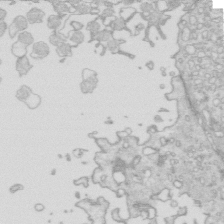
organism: Mouse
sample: Multiciliated cells